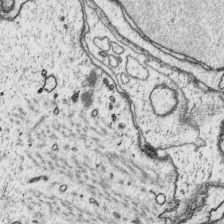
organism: Platynereis dumerilii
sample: Parapodia